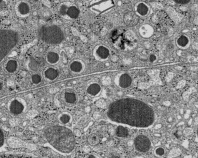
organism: C57BL Mouse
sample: Pancreatic islet